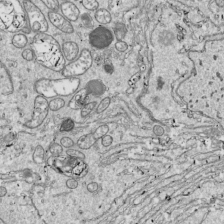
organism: Drosophila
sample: Cell division; meiosis; drosophila spermatocytes